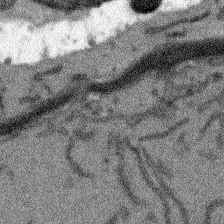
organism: Arabidopsis thaliana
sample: Root tip